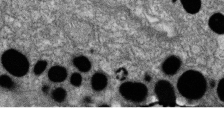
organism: Zebrafish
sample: Cilia; retinal pigment epithelium